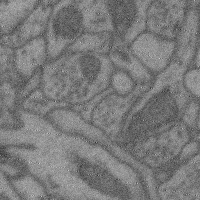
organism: Mouse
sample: Cerebral cortex